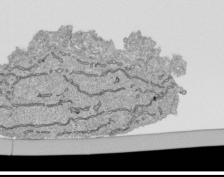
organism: Human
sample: Mitochondria in HCT116 cells